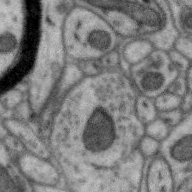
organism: Zebra finch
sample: Brain